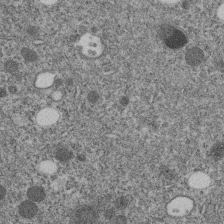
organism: C. elegans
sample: C. elegans embryo early stage